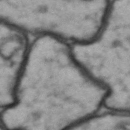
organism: Drosophila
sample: Brain